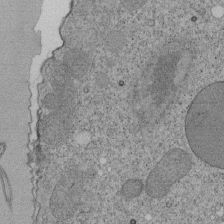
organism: Tetrahymena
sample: Cilia in tetrahymena